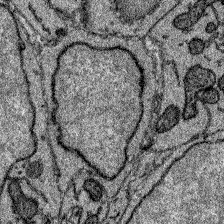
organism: Zebrafish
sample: Larval olfactory bulb